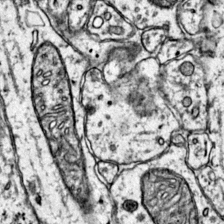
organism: Mouse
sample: Primary visual cortex